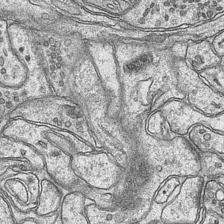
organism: Mouse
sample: CA1 Hippocampus